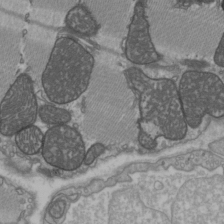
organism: C57BL Mouse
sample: Heart